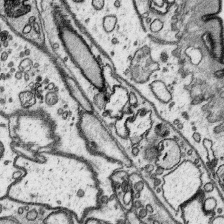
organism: Platynereis dumerilii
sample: Parapodia